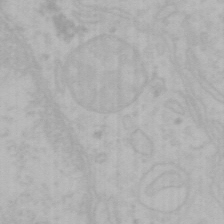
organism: Mouse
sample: Choroid plexus